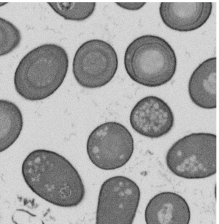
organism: B. subtilis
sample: Bacterial spore